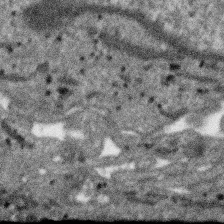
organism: Human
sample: Lung epithelial cells infected with SARS-CoV-2